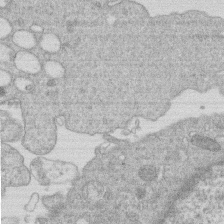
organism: Human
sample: Macrophage cells